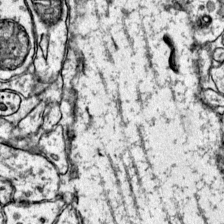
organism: Mouse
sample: Primary visual cortex